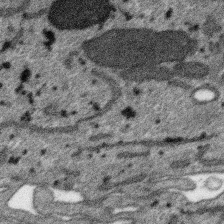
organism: Human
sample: Lung epithelial cells infected with SARS-CoV-2